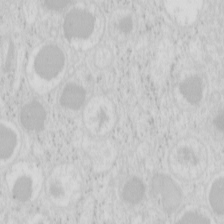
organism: Mouse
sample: Pancreas